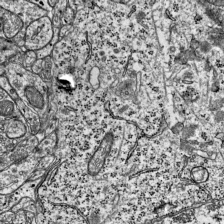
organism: Mouse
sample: Visual Cortex